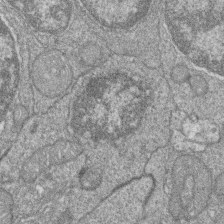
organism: Zebrafish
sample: Cilia; retinal pigment epithelium